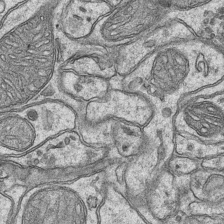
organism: Mouse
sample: CA1 Hippocampus